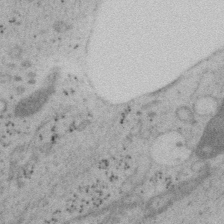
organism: Human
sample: HeLa cells